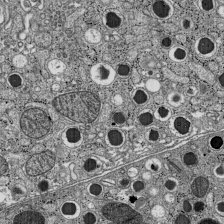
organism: C57BL Mouse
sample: Pancreatic islet